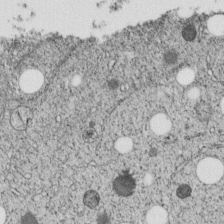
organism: C. elegans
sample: C. elegans embryo early stage